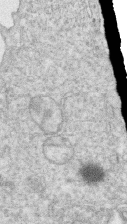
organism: Human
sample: HeLa cell HIV synapse